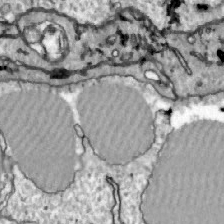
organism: Zebrafish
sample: Actinotrichia fibers